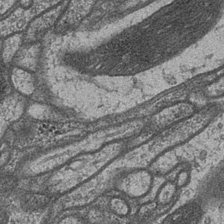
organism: Drosophila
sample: Optic medulla